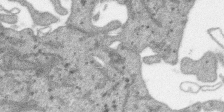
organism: Human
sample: Lung epithelial cells infected with SARS-CoV-2